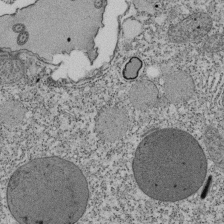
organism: Tetrahymena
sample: Cilia in tetrahymena